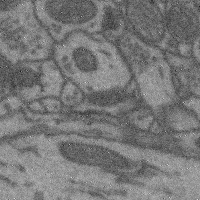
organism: Mouse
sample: Cerebral cortex